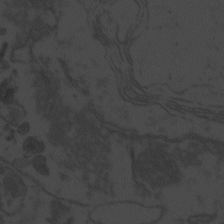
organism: Zebrafish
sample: Macrophage infected with Toxoplasma gondii